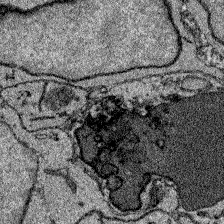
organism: Zebrafish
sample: Larval olfactory bulb